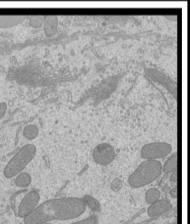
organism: Mouse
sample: Cilia; mouse epididymis